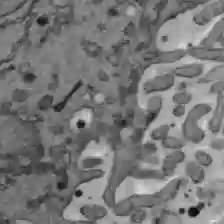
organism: C57BL Mouse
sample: Liver